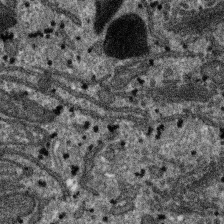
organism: Human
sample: Lung epithelial cells infected with SARS-CoV-2